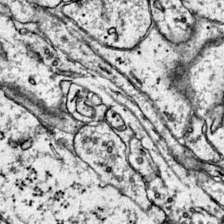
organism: Mouse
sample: Primary visual cortex